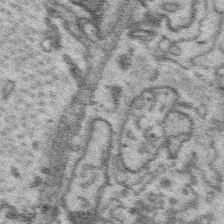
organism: Platynereis dumerilii